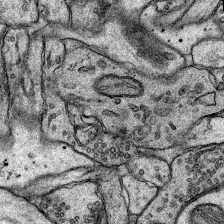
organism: Rat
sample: Hippocampus